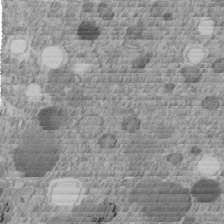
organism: C. elegans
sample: C. elegans embryo early stage